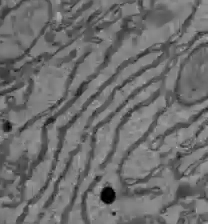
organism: C57BL Mouse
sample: Liver